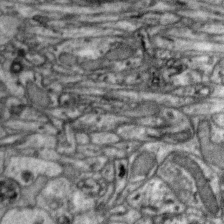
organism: Zebra finch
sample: Brain